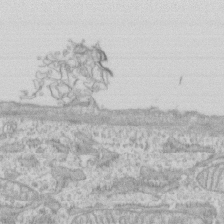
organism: Human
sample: CRL-1474